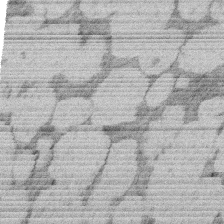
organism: Rat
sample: Salivary granule